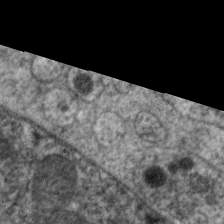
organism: C. elegans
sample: Pharynx